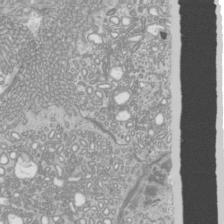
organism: Mouse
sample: Cilia; mouse epididymis